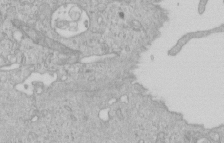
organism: Human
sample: Centriole in RPE cells